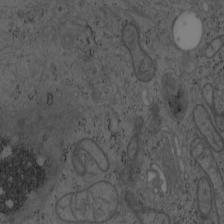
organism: Mouse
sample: OT-I killer T cells with ID8 ovarian cancer cells